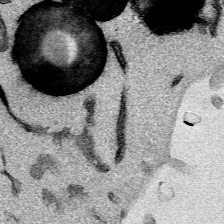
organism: Mouse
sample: Cancer cell death in ED-1 cells